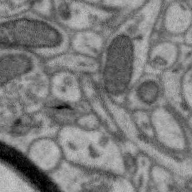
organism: Zebra finch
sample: Brain